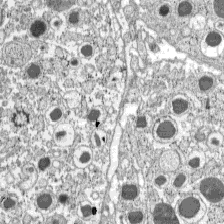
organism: C57BL Mouse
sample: Pancreatic islet